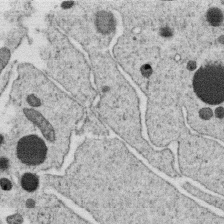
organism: C. elegans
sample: C. elegans oocyte; sperm cells